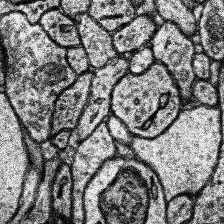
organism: Human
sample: Temporal Lobe